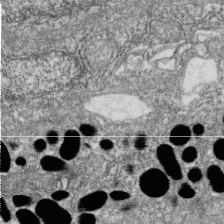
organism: Zebrafish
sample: Cilia; retinal pigment epithelium